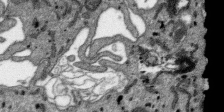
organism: Human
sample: Lung epithelial cells, uninfected (mock) control